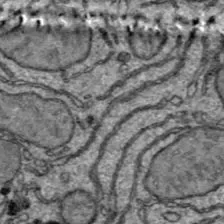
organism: C57BL Mouse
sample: Liver